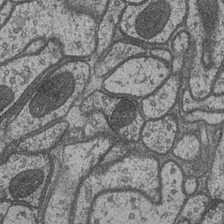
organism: Drosophila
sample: Optic medulla